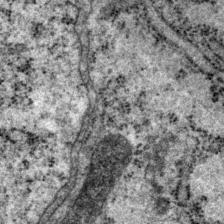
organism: P. pacificus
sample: Pharynx